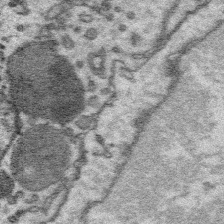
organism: Platynereis dumerilii